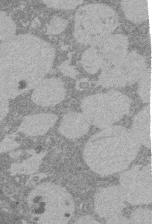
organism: Rat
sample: Salivary granule